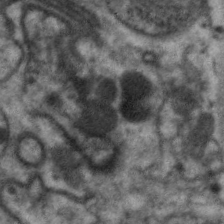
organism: C. elegans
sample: Pharynx